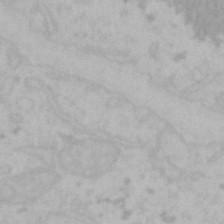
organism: Mouse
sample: Choroid plexus